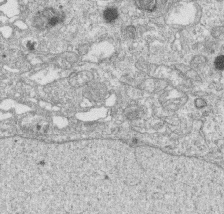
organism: Human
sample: HeLa cell HIV synapse